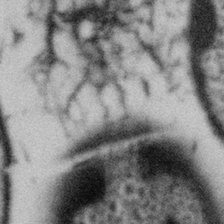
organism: Gemmata obscuriglobus